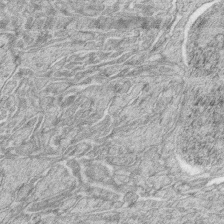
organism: Zebrafish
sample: synaptic ribbons in rod cells and cone cells